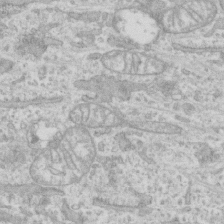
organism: Human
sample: CRL-1474